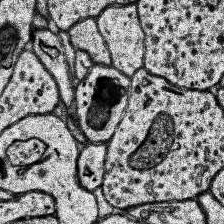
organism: Human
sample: Temporal Lobe